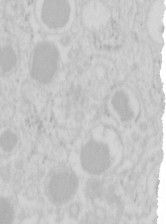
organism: Mouse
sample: Pancreas